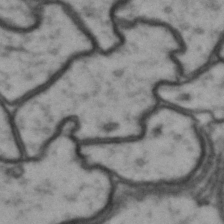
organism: Drosophila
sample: Brain